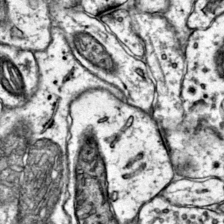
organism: Mouse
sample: Primary visual cortex